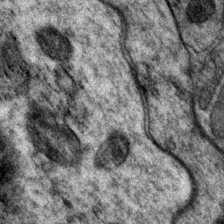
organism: P. pacificus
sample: Pharynx